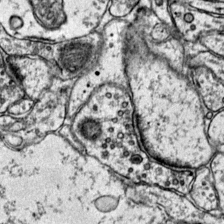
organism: Mouse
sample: Primary visual cortex